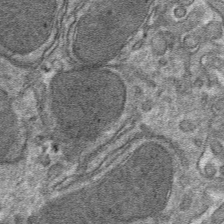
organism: Mouse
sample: Mouse hepatocytes